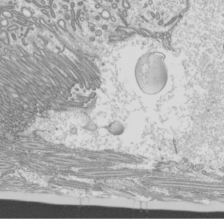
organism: Mouse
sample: Cilia; mouse epididymis